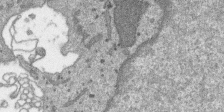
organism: Human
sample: Lung epithelial cells infected with SARS-CoV-2